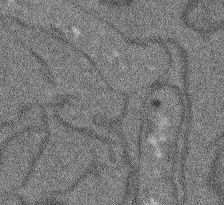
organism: Arabidopsis thaliana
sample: Root tip